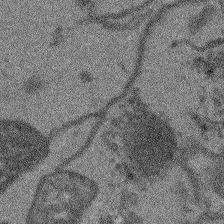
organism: Arabidopsis thaliana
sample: Root tip